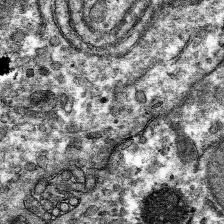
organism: Mouse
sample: Mouse hepatocytes